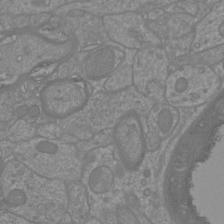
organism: Mouse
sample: Cortical neurons